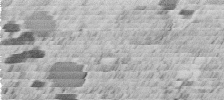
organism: C. elegans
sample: C. elegans embryo early stage